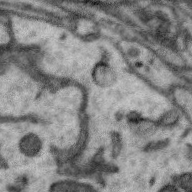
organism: Zebra finch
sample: Brain